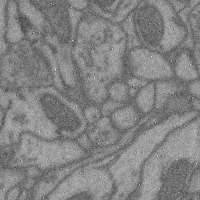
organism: Mouse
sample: Cerebral cortex